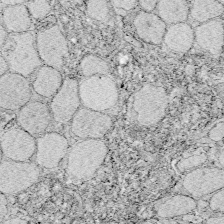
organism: Zebrafish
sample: Whole-Brain